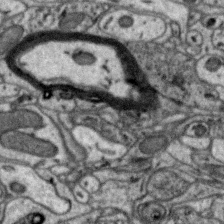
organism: Zebra finch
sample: Brain